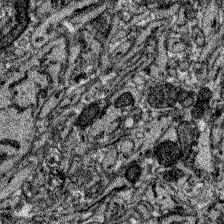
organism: Zebrafish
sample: Larval olfactory bulb